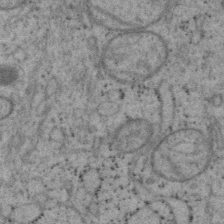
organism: Human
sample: HeLa cells